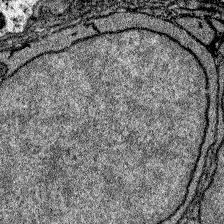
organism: Zebrafish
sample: Larval olfactory bulb